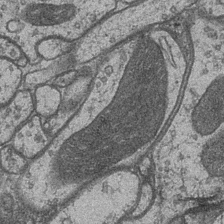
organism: Drosophila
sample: Optic medulla